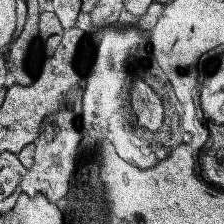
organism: Human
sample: Temporal Lobe